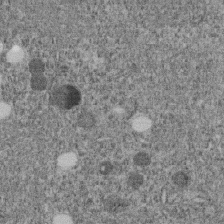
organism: C. elegans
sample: C. elegans embryo early stage